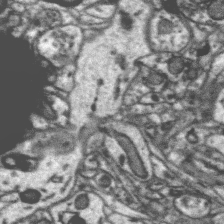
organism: Zebra finch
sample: Brain